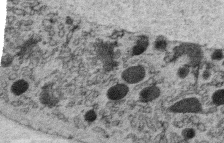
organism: C. elegans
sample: C. elegans oocyte; sperm cells